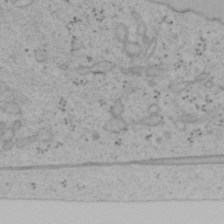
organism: Human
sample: HeLa cells